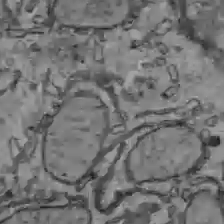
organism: C57BL Mouse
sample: Liver